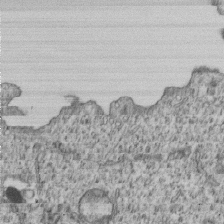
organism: Human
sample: MDA-MB-231 cells